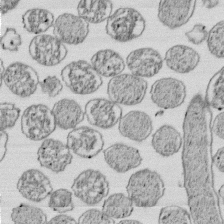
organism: E. coli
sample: Bacterial nucleoid